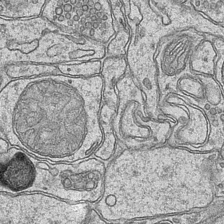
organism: Mouse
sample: CA1 Hippocampus